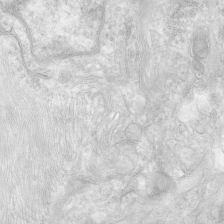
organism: Human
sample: Neocortex